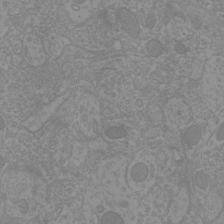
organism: Mouse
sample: Cortical neurons